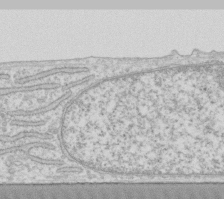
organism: Human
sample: Fibroblast cells